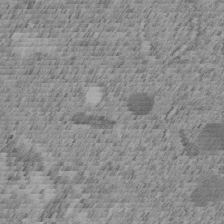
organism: C. elegans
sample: C. elegans embryo early stage